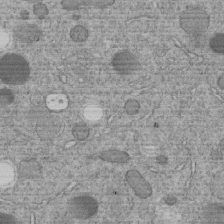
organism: C. elegans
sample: C. elegans embryo early stage